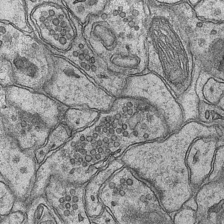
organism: Mouse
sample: CA1 Hippocampus